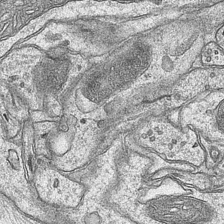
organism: Mouse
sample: CA1 Hippocampus